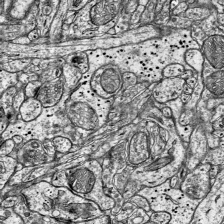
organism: Mouse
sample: Visual Cortex